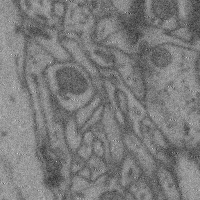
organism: Mouse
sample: Cerebral cortex